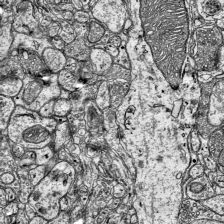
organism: Mouse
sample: Visual Cortex